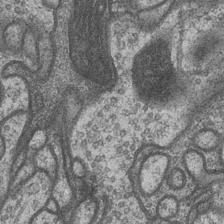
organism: Drosophila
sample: Optic medulla